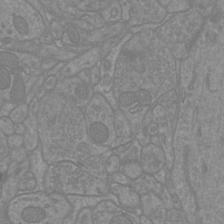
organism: Mouse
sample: Cortical neurons